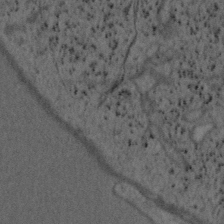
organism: Human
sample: HeLa cells